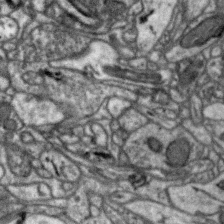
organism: Zebra finch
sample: Brain